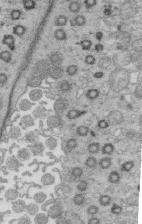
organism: Mouse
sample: Multiciliated cells